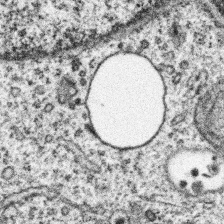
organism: Human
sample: HeLa cells